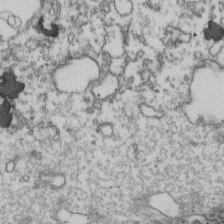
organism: Human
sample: Activated Jurkat CD4+ T cells